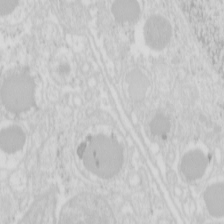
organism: Mouse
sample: Pancreas